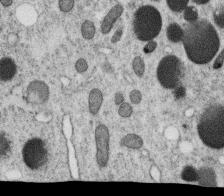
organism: C. elegans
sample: C. elegans oocyte; sperm cells